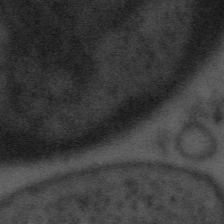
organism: Tuwongella immobilis